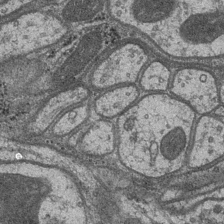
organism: Drosophila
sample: Optic medulla